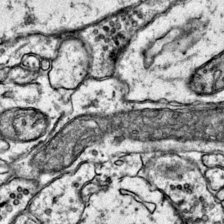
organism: Mouse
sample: Primary visual cortex